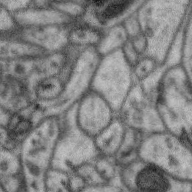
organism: Zebra finch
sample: Brain